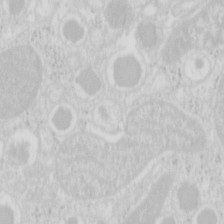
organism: Mouse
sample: Pancreas